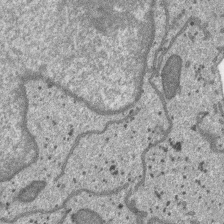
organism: Human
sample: Lung epithelial cells infected with SARS-CoV-2